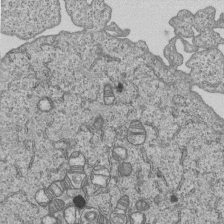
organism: Human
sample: MDA-MB-231 cells